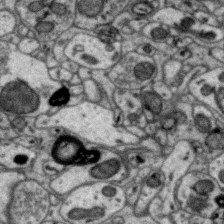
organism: Zebra finch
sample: Brain